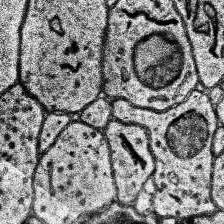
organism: Human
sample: Temporal Lobe